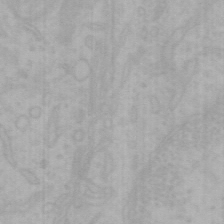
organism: Mouse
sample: Choroid plexus